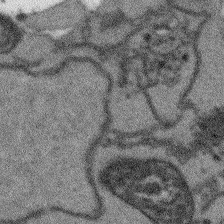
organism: Arabidopsis thaliana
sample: Root tip